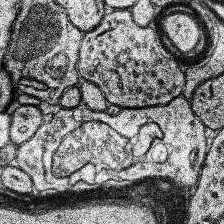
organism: Human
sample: Temporal Lobe